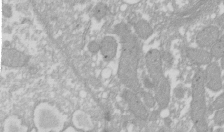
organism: Xenopus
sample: Cilia; centrioles in frog embryo cells